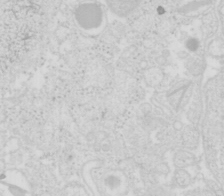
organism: Mouse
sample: Pancreas